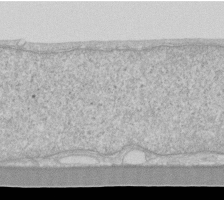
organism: Human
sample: Fibroblast cells